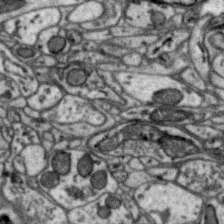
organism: Zebra finch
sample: Brain